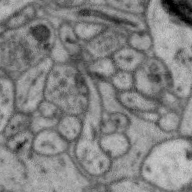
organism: Zebra finch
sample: Brain